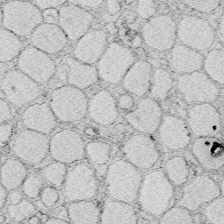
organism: Zebrafish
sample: Whole-Brain